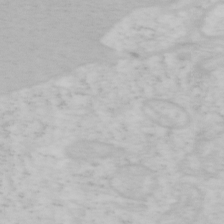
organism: Mouse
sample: OT-I killer T cells with ID8 ovarian cancer cells